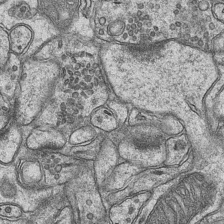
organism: Mouse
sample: CA1 Hippocampus